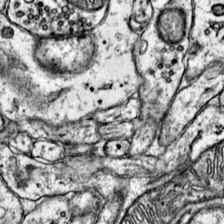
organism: Mouse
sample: Primary visual cortex